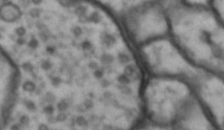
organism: Drosophila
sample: Brain